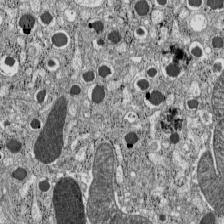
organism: C57BL Mouse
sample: Pancreatic islet